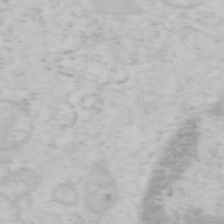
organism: Mouse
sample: OT-I killer T cells with ID8 ovarian cancer cells